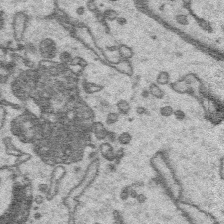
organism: Platynereis dumerilii